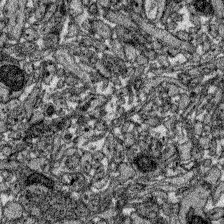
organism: Zebrafish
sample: Larval olfactory bulb